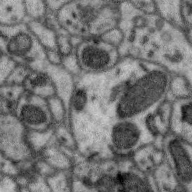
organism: Zebra finch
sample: Brain